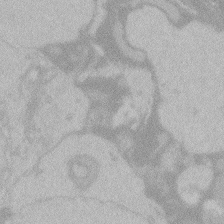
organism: Zebrafish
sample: Macrophage infected with Toxoplasma gondii